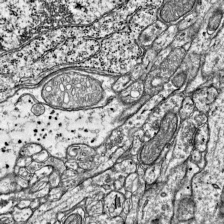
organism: Mouse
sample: Visual Cortex